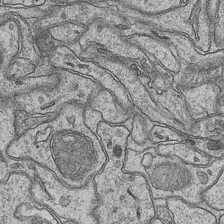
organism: Mouse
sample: CA1 Hippocampus